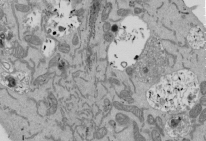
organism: Mouse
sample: ED-1 cell nuclei; centrioles